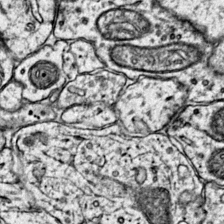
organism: Mouse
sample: Primary visual cortex